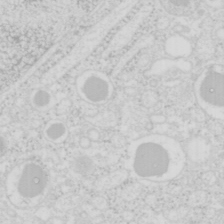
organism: Mouse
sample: Pancreas